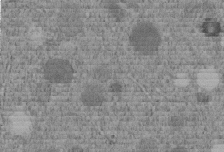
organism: C. elegans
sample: C. elegans embryo early stage